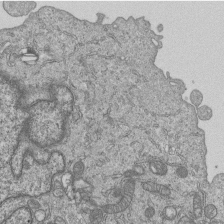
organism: Human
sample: MDA-MB-231 cells